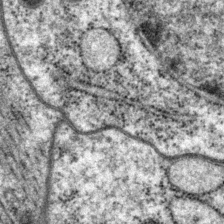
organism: P. pacificus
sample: Pharynx